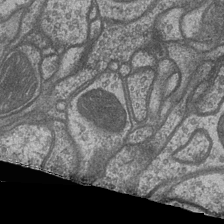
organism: Drosophila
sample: Optic medulla